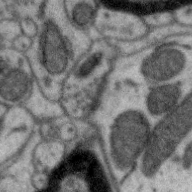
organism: Zebra finch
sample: Brain